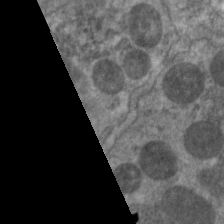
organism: C. elegans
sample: Pharynx